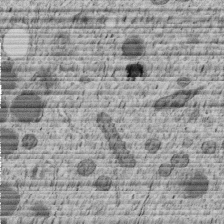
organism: C. elegans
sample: C. elegans embryo early stage